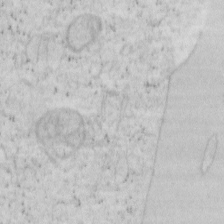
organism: Human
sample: HeLa cells